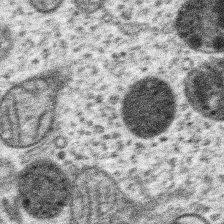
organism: Human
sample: HeLa cells